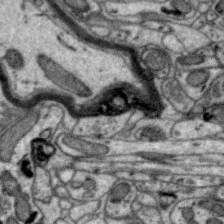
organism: Zebra finch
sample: Brain